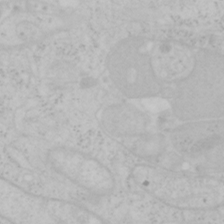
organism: Mouse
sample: OT-I killer T cells with ID8 ovarian cancer cells